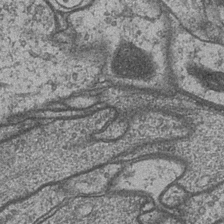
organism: Drosophila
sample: Optic medulla